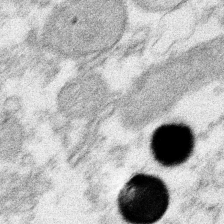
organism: Xenopus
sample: Cilia; centrioles in frog embryo cells